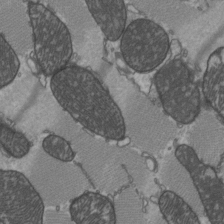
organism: C57BL Mouse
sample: Heart